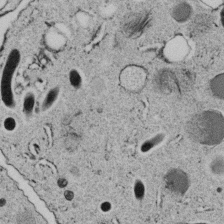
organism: C. elegans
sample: C. elegans embryo early stage